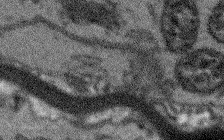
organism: Arabidopsis thaliana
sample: Root tip